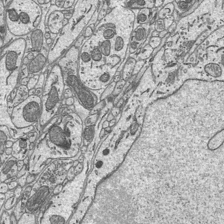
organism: Mouse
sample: Suprachiasmatic nucleus